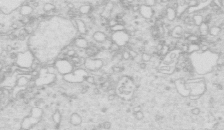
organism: Mouse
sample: Multiciliated cells